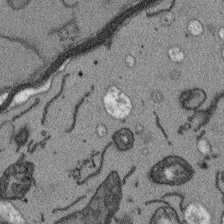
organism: Arabidopsis thaliana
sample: Root tip